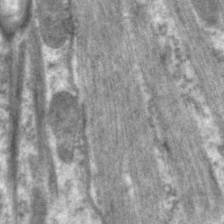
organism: C. elegans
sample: Pharynx